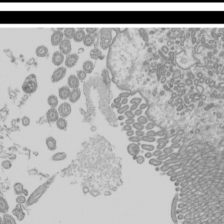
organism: Mouse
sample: Cilia; mouse epididymis